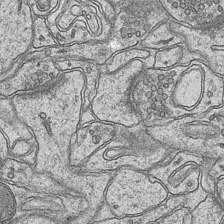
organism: Mouse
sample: CA1 Hippocampus